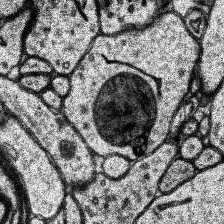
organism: Human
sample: Temporal Lobe